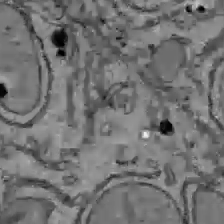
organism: C57BL Mouse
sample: Liver